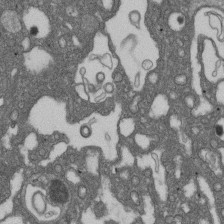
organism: Drosophila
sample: Nephrocyte